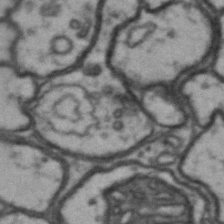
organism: Drosophila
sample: Brain